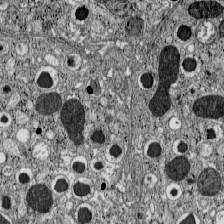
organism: C57BL Mouse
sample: Pancreatic islet